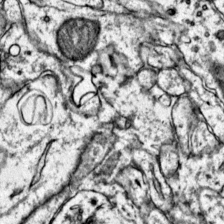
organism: Mouse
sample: Primary visual cortex